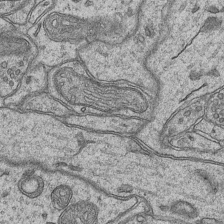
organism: Mouse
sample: CA1 Hippocampus